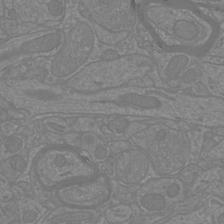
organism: Mouse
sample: Cortical neurons